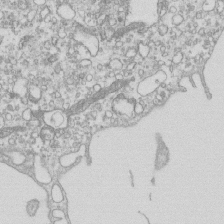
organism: Mouse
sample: Macrophages